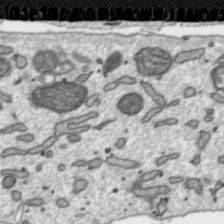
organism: Toxoplasma gondii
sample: Parasites in a vacuole inside a host cell